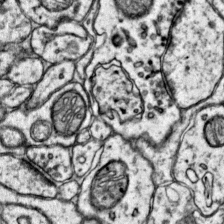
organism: Mouse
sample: Primary visual cortex